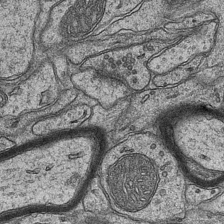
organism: Mouse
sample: CA1 Hippocampus